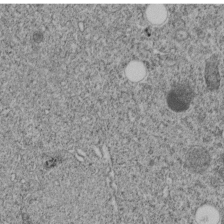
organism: C. elegans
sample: C. elegans embryo early stage